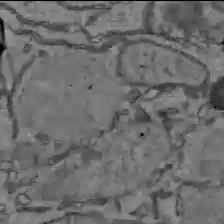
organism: C57BL Mouse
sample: Liver